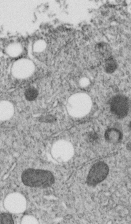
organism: C. elegans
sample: C. elegans embryo early stage